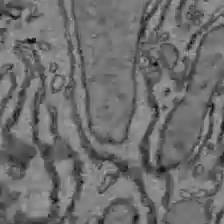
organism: C57BL Mouse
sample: Liver